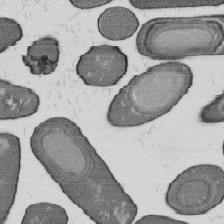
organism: B. subtilis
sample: Bacterial spore